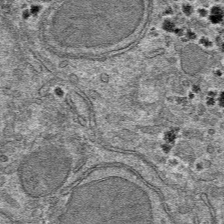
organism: Mouse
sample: Mouse hepatocytes